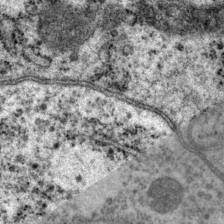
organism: P. pacificus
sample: Pharynx